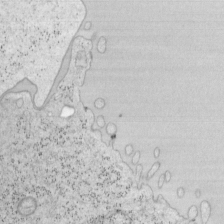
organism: Mouse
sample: OT-I killer T cells with ID8 ovarian cancer cells